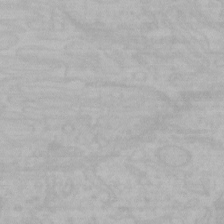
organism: Mouse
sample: Choroid plexus